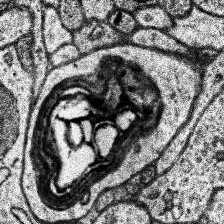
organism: Human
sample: Temporal Lobe